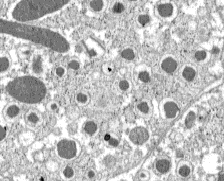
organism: C57BL Mouse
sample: Pancreatic islet